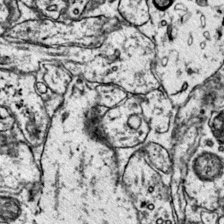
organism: Mouse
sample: Primary visual cortex